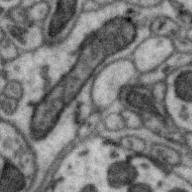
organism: Zebra finch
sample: Brain